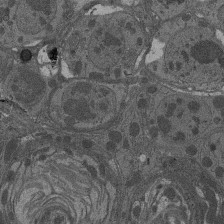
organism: Drosophila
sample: Antenna